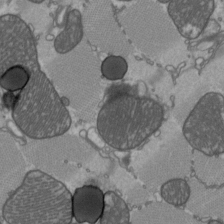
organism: C57BL Mouse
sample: Heart